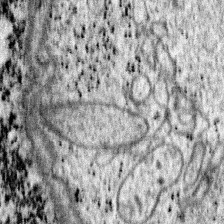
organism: Human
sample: HeLa cells